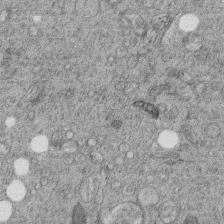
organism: C. elegans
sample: C. elegans embryo early stage